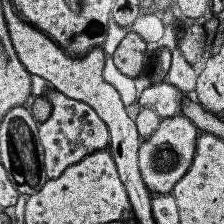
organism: Human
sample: Temporal Lobe